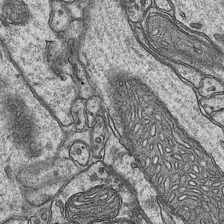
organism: Mouse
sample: CA1 Hippocampus